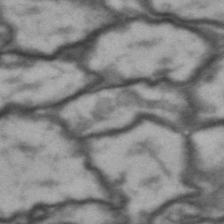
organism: Drosophila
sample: Brain